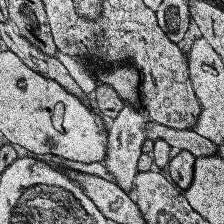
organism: Human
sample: Temporal Lobe